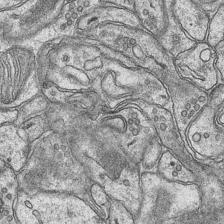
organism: Mouse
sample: CA1 Hippocampus